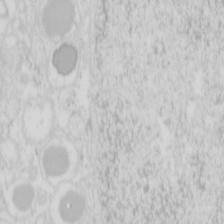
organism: Mouse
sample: Pancreas